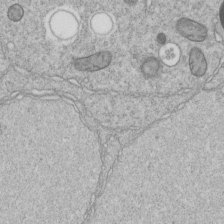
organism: C. elegans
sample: C. elegans embryo early stage